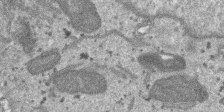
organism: Human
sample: Lung epithelial cells infected with SARS-CoV-2